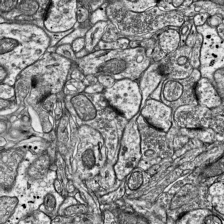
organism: Mouse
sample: Visual Cortex